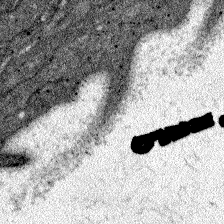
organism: Zebrafish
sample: Larval olfactory bulb